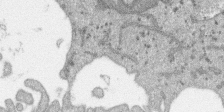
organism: Human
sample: Lung epithelial cells infected with SARS-CoV-2